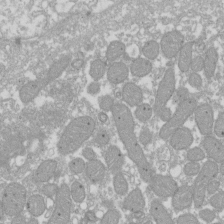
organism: Xenopus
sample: Cilia; centrioles in frog embryo cells